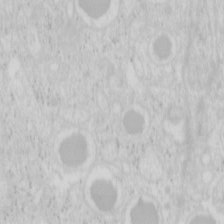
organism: Mouse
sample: Pancreas